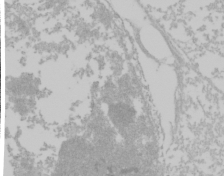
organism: Mouse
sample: Cancer cell death in ED-1 cells